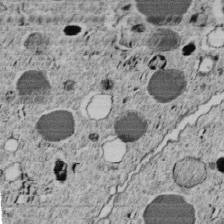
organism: C. elegans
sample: C. elegans embryo early stage